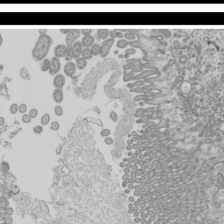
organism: Mouse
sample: Cilia; mouse epididymis